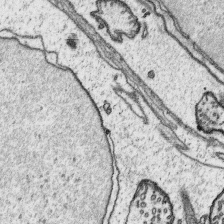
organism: Platynereis dumerilii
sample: Parapodia